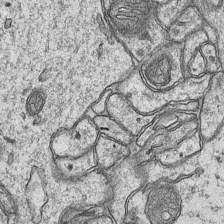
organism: Mouse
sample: CA1 Hippocampus